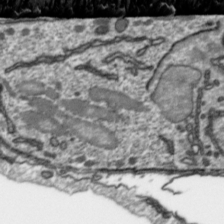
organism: Toxoplasma gondii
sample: Parasites in a vacuole inside a host cell